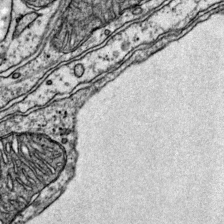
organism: Mouse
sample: Primary visual cortex